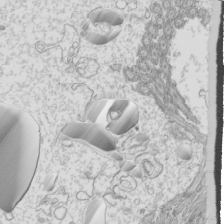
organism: Mouse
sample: Cilia; mouse epididymis